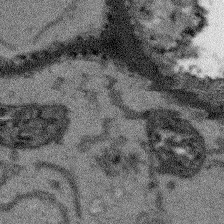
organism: Arabidopsis thaliana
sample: Root tip